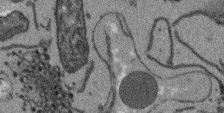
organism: Arabidopsis thaliana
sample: Root tip